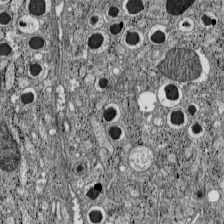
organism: C57BL Mouse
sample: Pancreatic islet